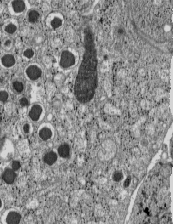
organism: C57BL Mouse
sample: Pancreatic islet